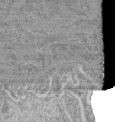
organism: Mouse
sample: Glomerulus